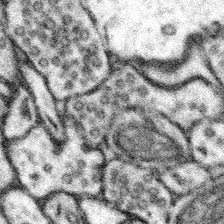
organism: Mouse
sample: Somatosensory cortex neuropil